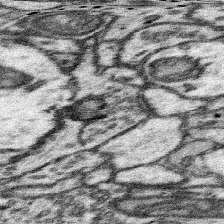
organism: Mouse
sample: Somatosensory cortex neuropil